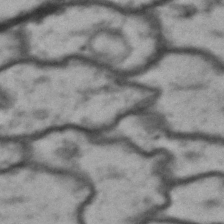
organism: Drosophila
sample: Brain